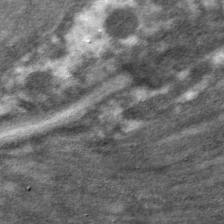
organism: C. elegans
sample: Pharynx